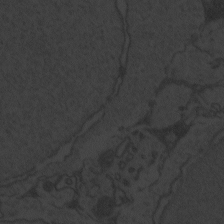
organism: Zebrafish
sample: Macrophage infected with Toxoplasma gondii